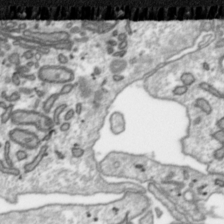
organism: Toxoplasma gondii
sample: Parasites in a vacuole inside a host cell